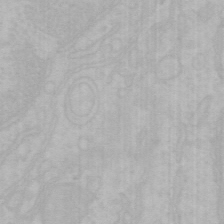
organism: Mouse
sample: Choroid plexus